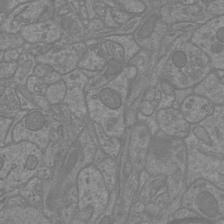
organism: Mouse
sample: Cortical neurons